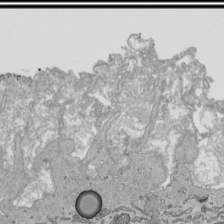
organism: Human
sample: Mitochondria in HCT116 cells